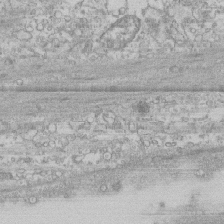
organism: Human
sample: CRL-1474